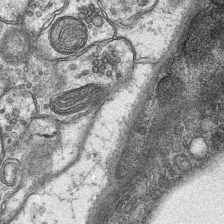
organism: Mouse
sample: CA1 Hippocampus